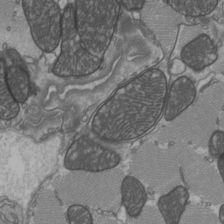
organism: C57BL Mouse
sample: Heart